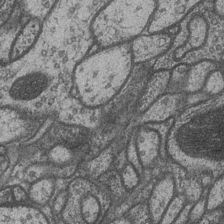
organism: Drosophila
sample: Optic medulla